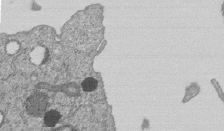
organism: Human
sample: MDA-MB-231 cells